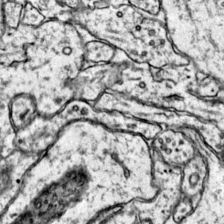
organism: Mouse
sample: Primary visual cortex